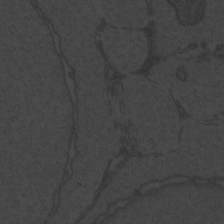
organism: Zebrafish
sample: Macrophage infected with Toxoplasma gondii